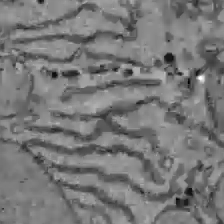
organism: C57BL Mouse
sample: Liver